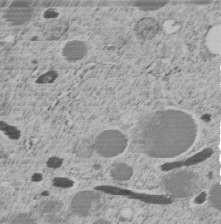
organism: C. elegans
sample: C. elegans embryo early stage